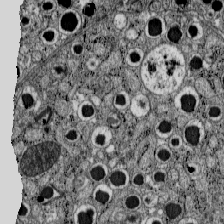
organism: C57BL Mouse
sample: Pancreatic islet